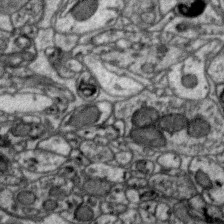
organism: Zebra finch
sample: Brain